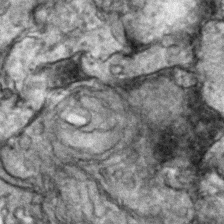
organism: Zebrafish